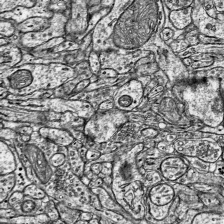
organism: Mouse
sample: Visual Cortex